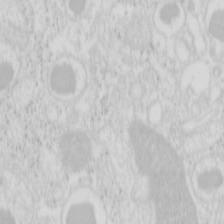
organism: Mouse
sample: Pancreas